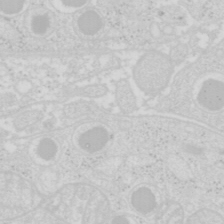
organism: Mouse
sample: Pancreas